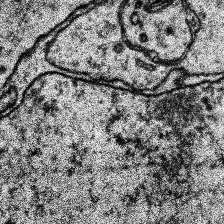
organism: Human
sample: Temporal Lobe